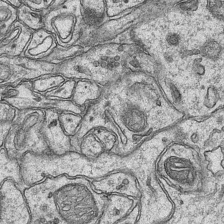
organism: Mouse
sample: CA1 Hippocampus